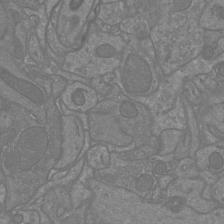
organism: Mouse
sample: Cortical neurons